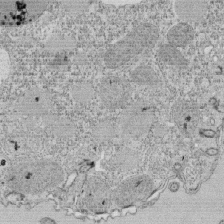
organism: Tetrahymena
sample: Cilia in tetrahymena